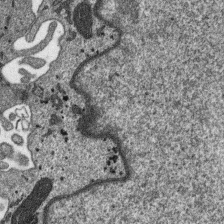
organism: Human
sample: Lung epithelial cells infected with SARS-CoV-2